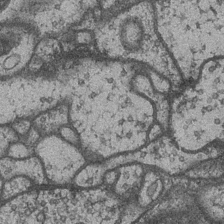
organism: Drosophila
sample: Optic medulla